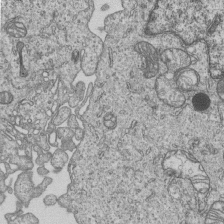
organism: Human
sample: MDA-MB-231 cells